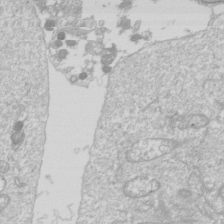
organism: Drosophila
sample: Cell division; meiosis; drosophila spermatocytes